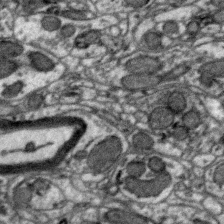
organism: Zebra finch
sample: Brain